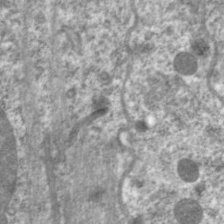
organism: C. elegans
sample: Pharynx